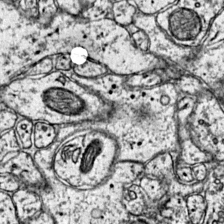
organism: Mouse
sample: Primary visual cortex